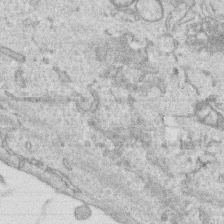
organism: Human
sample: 1205lu cells